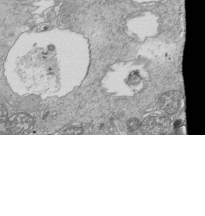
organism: Tetrahymena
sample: Cilia in tetrahymena